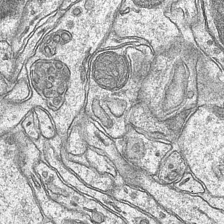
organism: Mouse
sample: CA1 Hippocampus